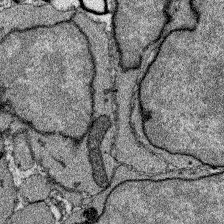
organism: Zebrafish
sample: Larval olfactory bulb